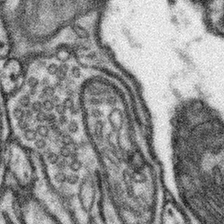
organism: Mouse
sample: Somatosensory cortex neuropil